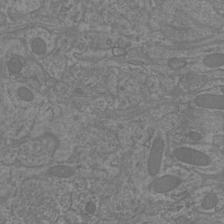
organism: Mouse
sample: Cortical neurons